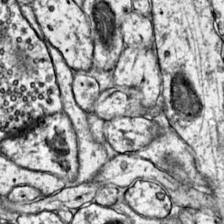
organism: Mouse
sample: Primary visual cortex